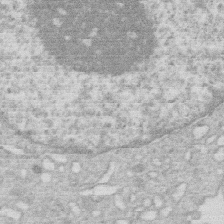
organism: Human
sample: Macrophage cells